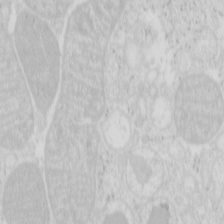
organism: Mouse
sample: Pancreas